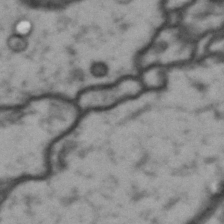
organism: Drosophila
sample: Brain